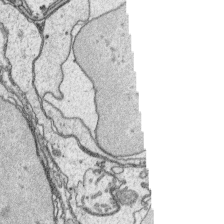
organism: Platynereis dumerilii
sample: Parapodia